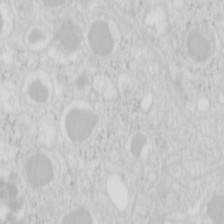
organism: Mouse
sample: Pancreas